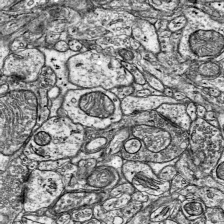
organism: Mouse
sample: Visual Cortex